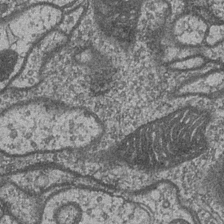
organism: Drosophila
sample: Optic medulla